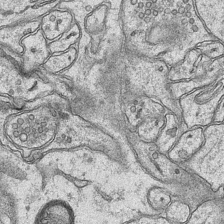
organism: Mouse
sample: CA1 Hippocampus